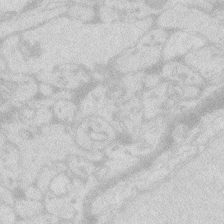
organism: Zebrafish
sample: Macrophage